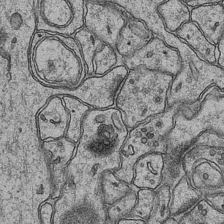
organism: Mouse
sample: CA1 Hippocampus